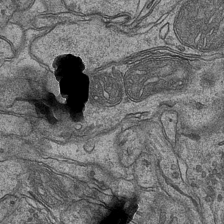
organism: Mouse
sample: CA1 Hippocampus